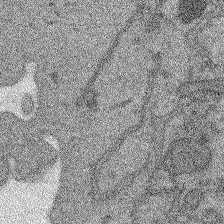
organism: Human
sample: HeLa cells